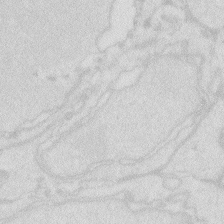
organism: Zebrafish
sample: Macrophage